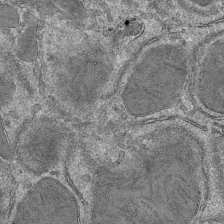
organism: Mouse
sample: Mouse hepatocytes